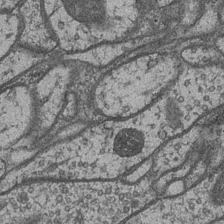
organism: Drosophila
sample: Optic medulla